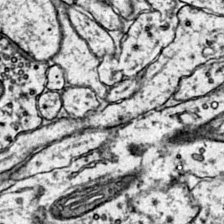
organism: Mouse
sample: Primary visual cortex